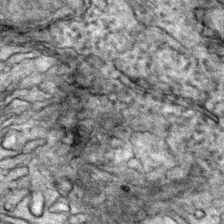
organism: Zebrafish